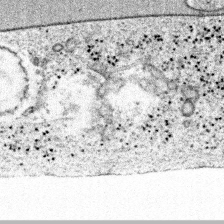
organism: Human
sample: HeLa cells